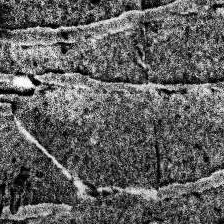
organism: Human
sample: Temporal Lobe